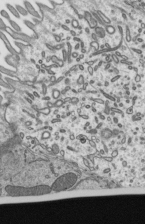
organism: Mouse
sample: Mouse epididymis efferent ductule cilia